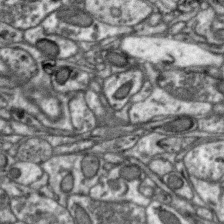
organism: Zebra finch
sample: Brain